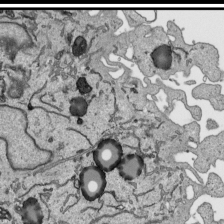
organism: Human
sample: Mitochondria in HCT116 cells